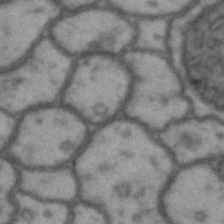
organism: Drosophila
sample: Brain